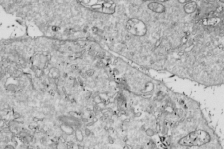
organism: Drosophila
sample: Cell division; meiosis; drosophila spermatocytes